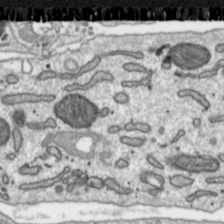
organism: Toxoplasma gondii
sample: Parasites in a vacuole inside a host cell